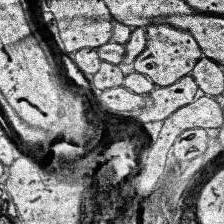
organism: Human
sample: Temporal Lobe